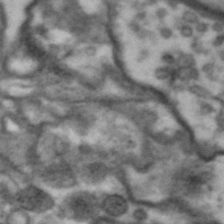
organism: Drosophila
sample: Brain